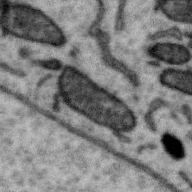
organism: Zebra finch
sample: Brain